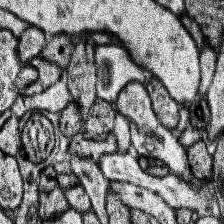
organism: Human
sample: Temporal Lobe